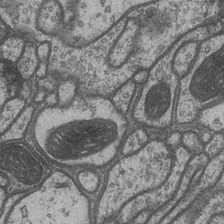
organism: Drosophila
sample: Optic medulla